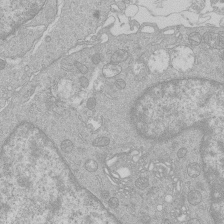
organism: Human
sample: Macrophage cells